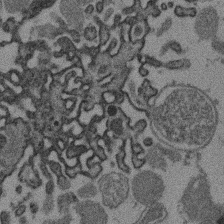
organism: Mouse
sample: Dividing mouse embryo 1 cell stage